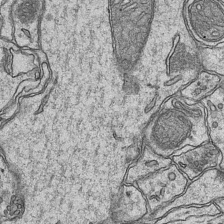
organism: Mouse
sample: CA1 Hippocampus